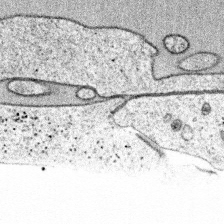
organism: Human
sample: HeLa cells